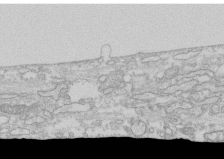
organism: Human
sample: CRL-1474